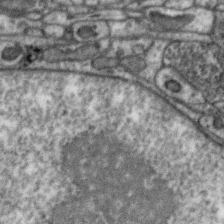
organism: Zebra finch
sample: Brain